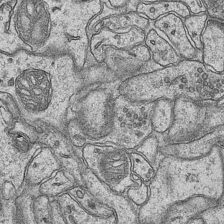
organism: Mouse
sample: CA1 Hippocampus